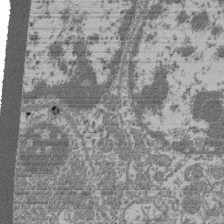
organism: Mouse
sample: Glomerulus